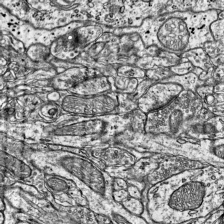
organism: Mouse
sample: Visual Cortex